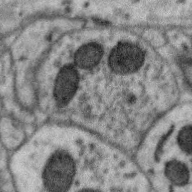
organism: Zebra finch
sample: Brain